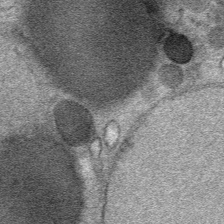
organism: Mouse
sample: Mouse Salivary gland